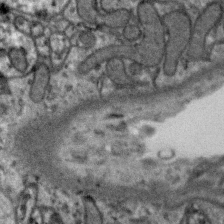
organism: Zebra finch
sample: Brain